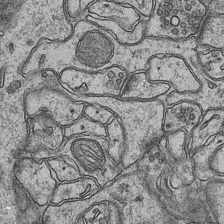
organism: Mouse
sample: CA1 Hippocampus